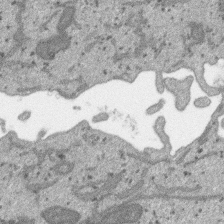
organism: Human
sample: Lung epithelial cells infected with SARS-CoV-2